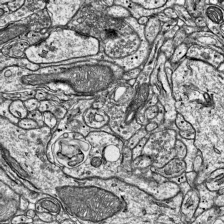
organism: Mouse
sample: Visual Cortex